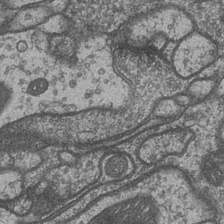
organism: Drosophila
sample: Optic medulla